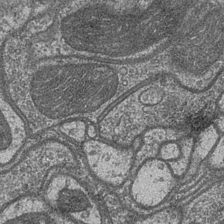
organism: Drosophila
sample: Optic medulla